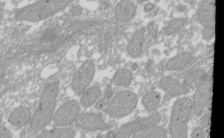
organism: Xenopus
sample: Cilia; centrioles in frog embryo cells